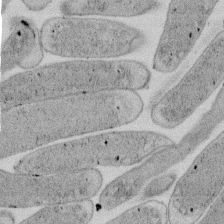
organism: E. coli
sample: Bacterial nucleoid